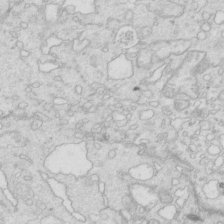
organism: Mouse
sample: Multiciliated cells